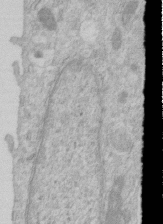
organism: Human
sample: Centriole in RPE cells